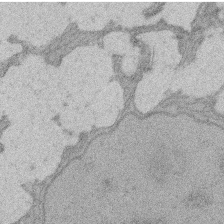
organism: Rat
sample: Salivary granule